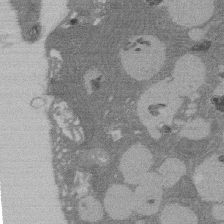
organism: Rat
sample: Salivary granule